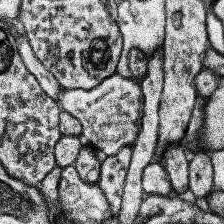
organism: Human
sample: Temporal Lobe